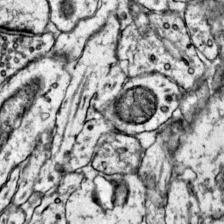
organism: Mouse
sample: Primary visual cortex